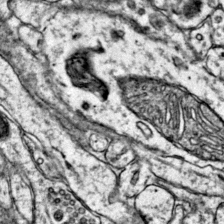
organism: Mouse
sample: Primary visual cortex